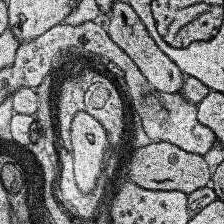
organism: Human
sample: Temporal Lobe